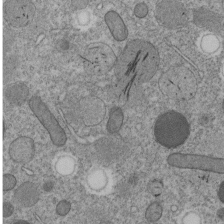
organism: C. elegans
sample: C. elegans embryo early stage